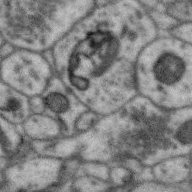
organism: Zebra finch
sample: Brain